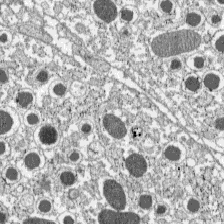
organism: C57BL Mouse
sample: Pancreatic islet